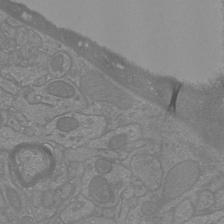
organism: Mouse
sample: Cortical neurons